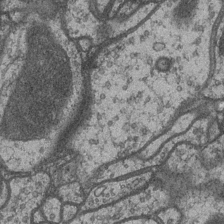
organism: Drosophila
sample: Optic medulla